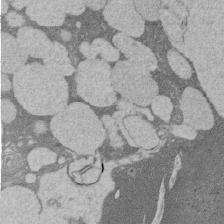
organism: Rat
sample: Salivary granule